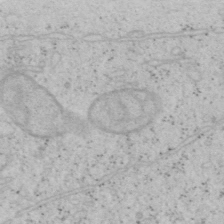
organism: Human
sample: HeLa cells